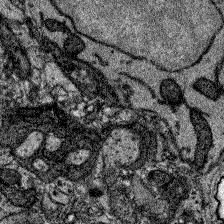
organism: Zebrafish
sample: Larval olfactory bulb